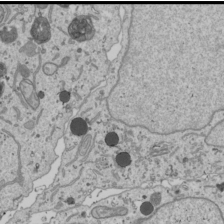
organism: Human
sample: Mitochondria in U2OS cells